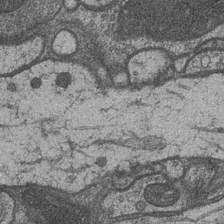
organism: Drosophila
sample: Optic medulla